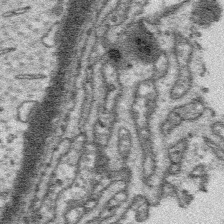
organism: Platynereis dumerilii